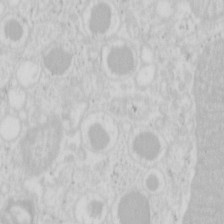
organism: Mouse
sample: Pancreas